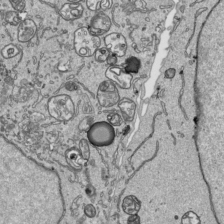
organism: Human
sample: Mitochondria in HCT116 cells